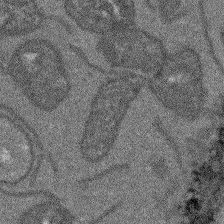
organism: Arabidopsis thaliana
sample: Root tip